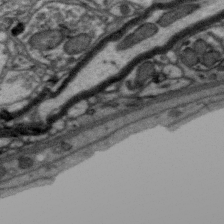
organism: Zebra finch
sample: Brain